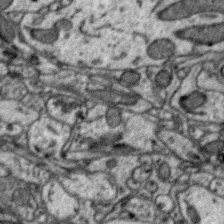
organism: Zebra finch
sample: Brain